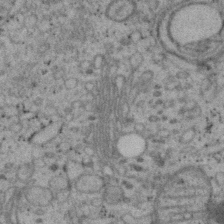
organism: Human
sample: HeLa cells